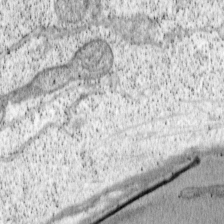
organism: African green monkey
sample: COS-7 cells